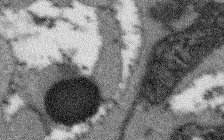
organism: Arabidopsis thaliana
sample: Root tip